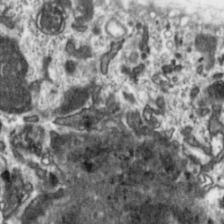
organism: Toxoplasma gondii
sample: Parasites in a vacuole inside a host cell